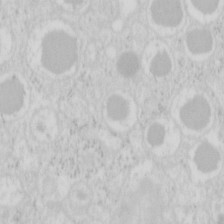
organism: Mouse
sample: Pancreas